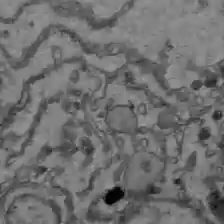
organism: C57BL Mouse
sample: Liver